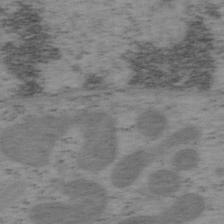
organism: Mouse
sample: OT-I killer T cells with ID8 ovarian cancer cells